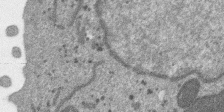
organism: Human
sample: Lung epithelial cells infected with SARS-CoV-2